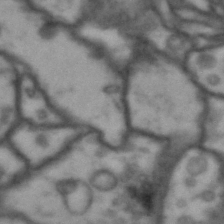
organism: Drosophila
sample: Brain